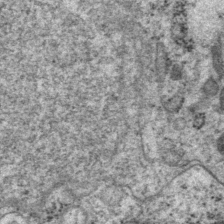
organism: P. pacificus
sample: Pharynx